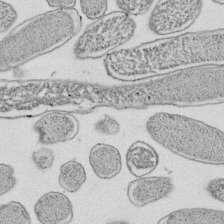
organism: E. coli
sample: Bacterial nucleoid